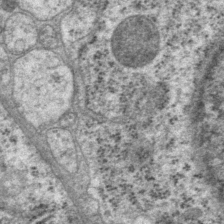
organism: P. pacificus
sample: Pharynx